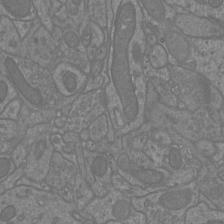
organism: Mouse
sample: Cortical neurons